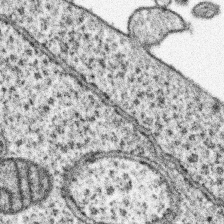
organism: Human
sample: HeLa cells